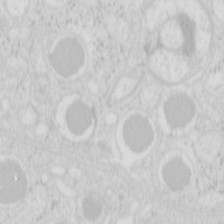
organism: Mouse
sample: Pancreas